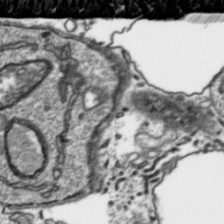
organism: Toxoplasma gondii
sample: Parasites in a vacuole inside a host cell